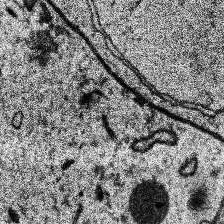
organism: Human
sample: Temporal Lobe